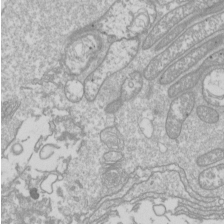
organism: Drosophila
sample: Cell division; meiosis; drosophila spermatocytes